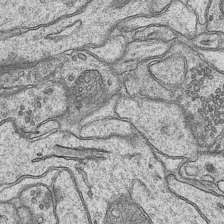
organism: Mouse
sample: CA1 Hippocampus